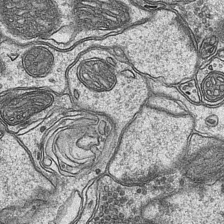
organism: Mouse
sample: CA1 Hippocampus